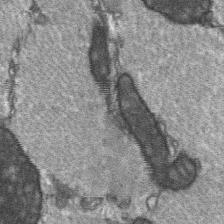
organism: C57BL Mouse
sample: Soleus